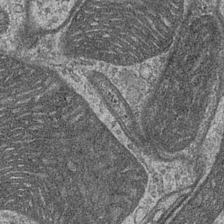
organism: Drosophila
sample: Optic medulla